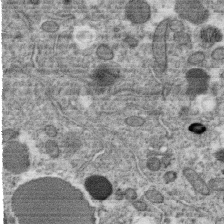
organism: C. elegans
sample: C. elegans oocyte; sperm cells